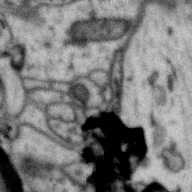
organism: Zebra finch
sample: Brain